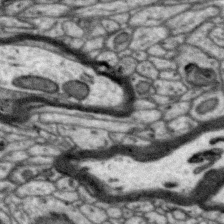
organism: Zebra finch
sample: Brain